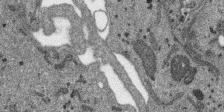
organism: Human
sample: Lung epithelial cells infected with SARS-CoV-2